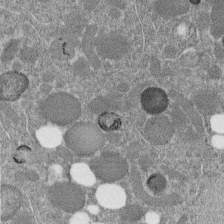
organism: C. elegans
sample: C. elegans embryo early stage